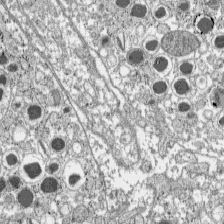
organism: C57BL Mouse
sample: Pancreatic islet